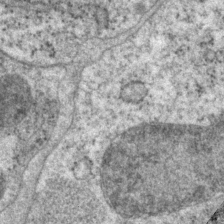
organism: P. pacificus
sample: Pharynx